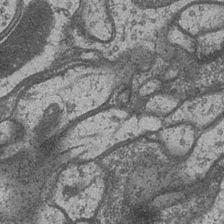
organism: Drosophila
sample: Optic medulla